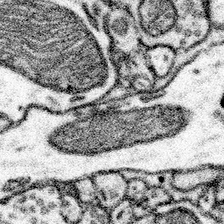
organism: Mouse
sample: Somatosensory cortex neuropil